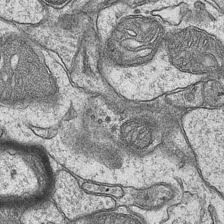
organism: Mouse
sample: CA1 Hippocampus